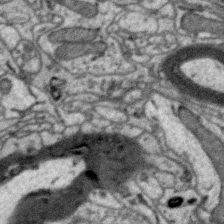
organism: Zebra finch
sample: Brain